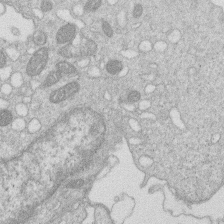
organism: Human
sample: Macrophage cells